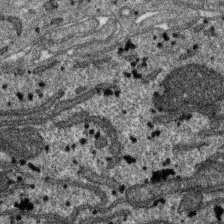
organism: Human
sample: Lung epithelial cells infected with SARS-CoV-2